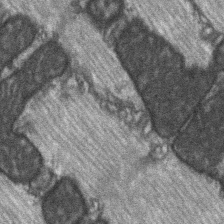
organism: C57BL Mouse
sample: Soleus